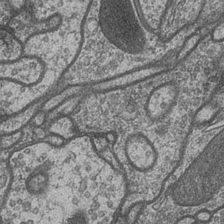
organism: Drosophila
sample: Optic medulla